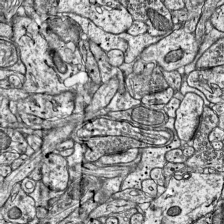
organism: Mouse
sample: Visual Cortex